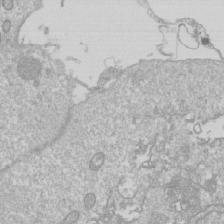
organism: Drosophila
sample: Cell division; meiosis; drosophila spermatocytes